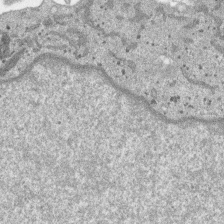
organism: Human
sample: Lung epithelial cells infected with SARS-CoV-2